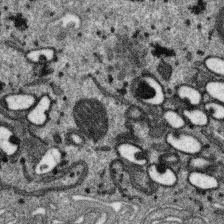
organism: Human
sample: Lung epithelial cells infected with SARS-CoV-2